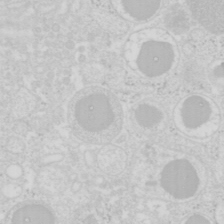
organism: Mouse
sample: Pancreas